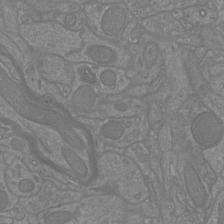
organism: Mouse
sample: Cortical neurons